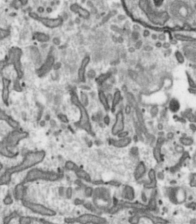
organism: Toxoplasma gondii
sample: Parasites in a vacuole inside a host cell